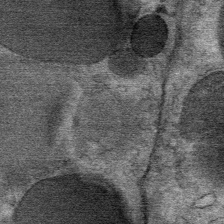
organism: Mouse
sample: Mouse Salivary gland